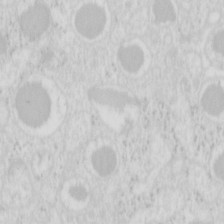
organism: Mouse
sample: Pancreas